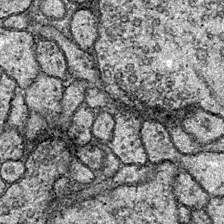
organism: Drosophila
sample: Ventral Nerve Cord